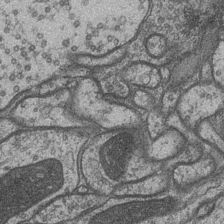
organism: Drosophila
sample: Optic medulla